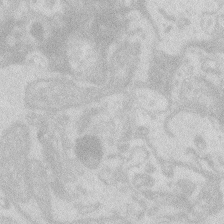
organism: Zebrafish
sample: Macrophage